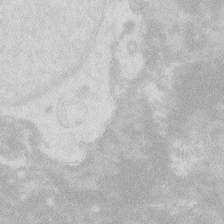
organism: Zebrafish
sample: Macrophage